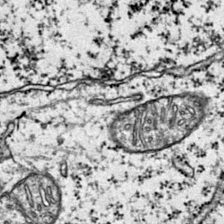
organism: Mouse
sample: Primary visual cortex